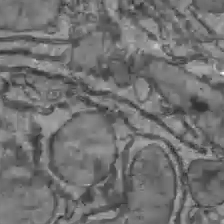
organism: C57BL Mouse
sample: Liver